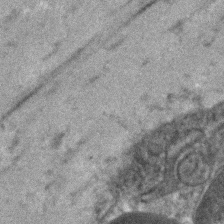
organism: Human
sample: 1205lu cells